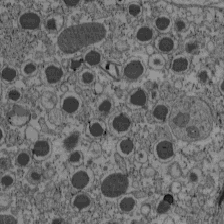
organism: C57BL Mouse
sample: Pancreatic islet